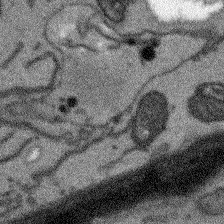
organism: Arabidopsis thaliana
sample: Root tip